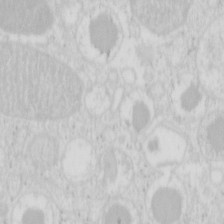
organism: Mouse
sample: Pancreas